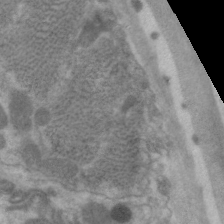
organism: C. elegans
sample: Pharynx